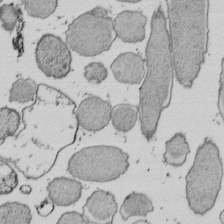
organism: E. coli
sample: Bacterial nucleoid